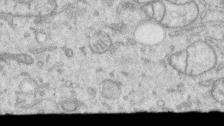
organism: Human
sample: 1205lu cells